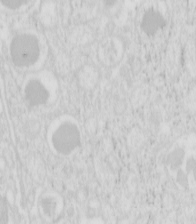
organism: Mouse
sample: Pancreas